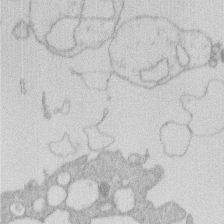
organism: Human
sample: Macrophage cells